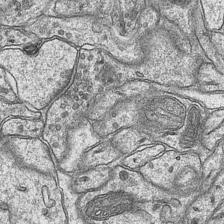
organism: Mouse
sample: CA1 Hippocampus